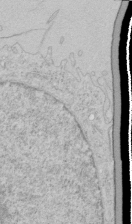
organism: Human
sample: Mitochondria in HCT116 cells